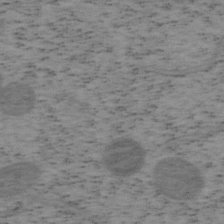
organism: Mouse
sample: OT-I killer T cells with ID8 ovarian cancer cells